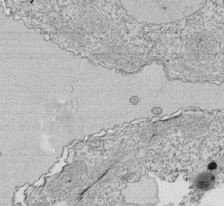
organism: Tetrahymena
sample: Cilia in tetrahymena